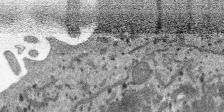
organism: Human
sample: Lung epithelial cells infected with SARS-CoV-2